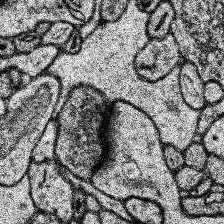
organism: Human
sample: Temporal Lobe